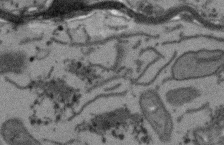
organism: Arabidopsis thaliana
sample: Root tip